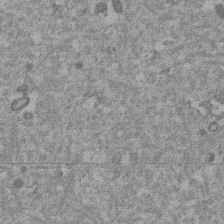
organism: Mouse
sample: Dividing mouse embryo 1 cell stage